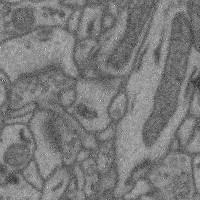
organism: Mouse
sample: Cerebral cortex